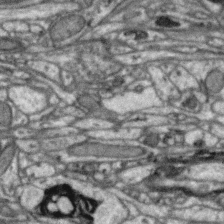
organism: Zebra finch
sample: Brain